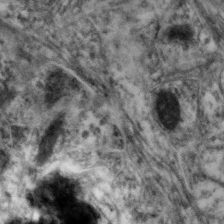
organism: Mouse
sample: Neocortex